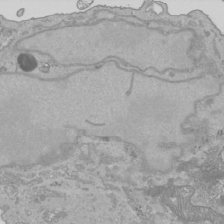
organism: Human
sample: Mitochondria in HCT116 cells